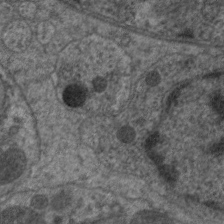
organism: C. elegans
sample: Pharynx